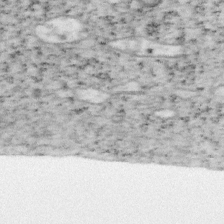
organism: Mouse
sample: OT-I killer T cells with ID8 ovarian cancer cells